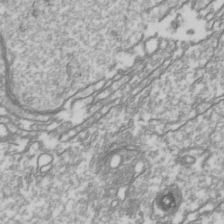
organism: Drosophila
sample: Cell division; meiosis; drosophila spermatocytes